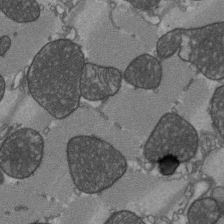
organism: C57BL Mouse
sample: Heart